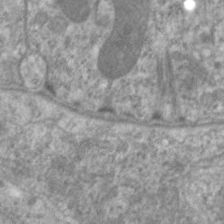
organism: C. elegans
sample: Pharynx